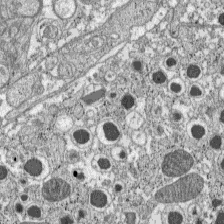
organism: C57BL Mouse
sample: Pancreatic islet